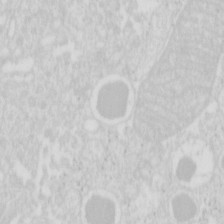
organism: Mouse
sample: Pancreas